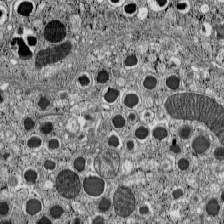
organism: C57BL Mouse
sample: Pancreatic islet